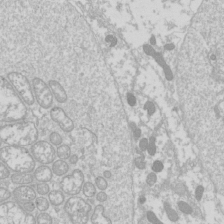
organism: Drosophila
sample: Cell division; meiosis; drosophila spermatocytes